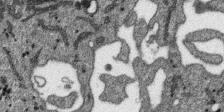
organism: Human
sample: Lung epithelial cells infected with SARS-CoV-2